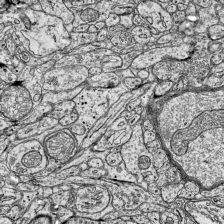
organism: Mouse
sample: Visual Cortex